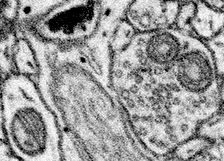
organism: Mouse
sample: Somatosensory cortex neuropil